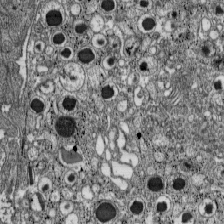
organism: C57BL Mouse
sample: Pancreatic islet